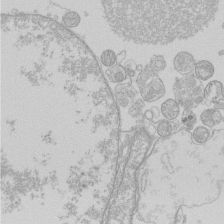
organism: Human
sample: Macrophage cells